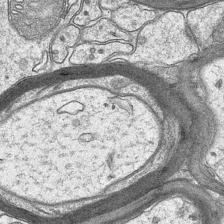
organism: Mouse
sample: CA1 Hippocampus